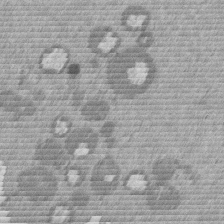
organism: Mouse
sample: Dividing mouse embryo 1 cell stage